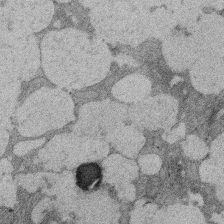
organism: Rat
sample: Salivary granule